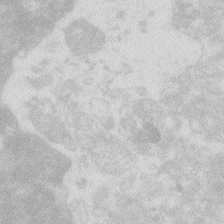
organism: Zebrafish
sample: Macrophage